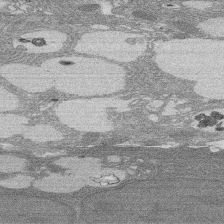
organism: Rat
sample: Salivary granule